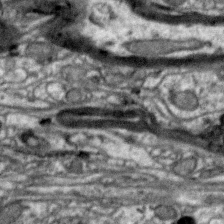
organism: Zebra finch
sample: Brain